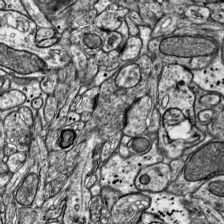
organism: Mouse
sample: Visual Cortex